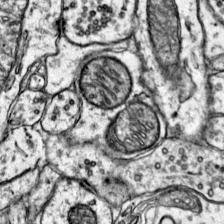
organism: Mouse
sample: Primary visual cortex